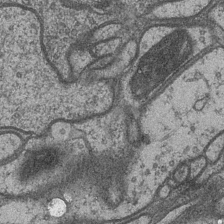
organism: Drosophila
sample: Optic medulla